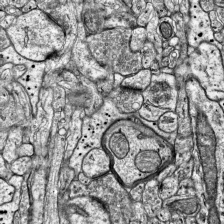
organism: Mouse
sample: Visual Cortex